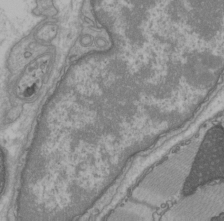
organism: C57BL Mouse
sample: Heart